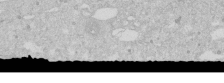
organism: Human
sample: Caco-2 cells